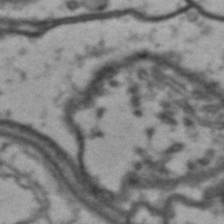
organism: Drosophila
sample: Brain